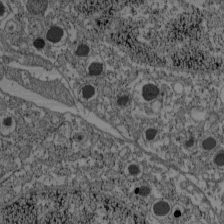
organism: C57BL Mouse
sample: Pancreatic islet